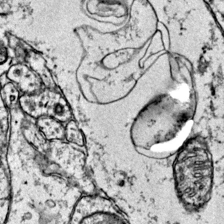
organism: Mouse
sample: Primary visual cortex